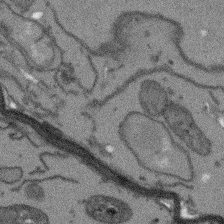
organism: Arabidopsis thaliana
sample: Root tip